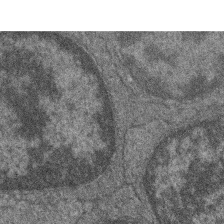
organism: Zebrafish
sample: Cilia; retinal pigment epithelium